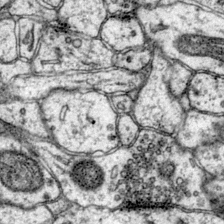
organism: Mouse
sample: Primary visual cortex